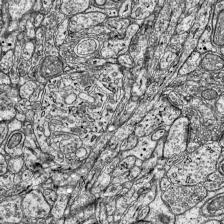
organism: Mouse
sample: Visual Cortex